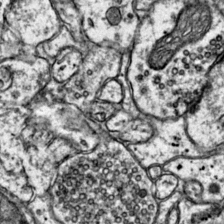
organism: Mouse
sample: Primary visual cortex